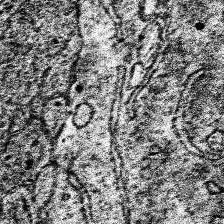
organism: Human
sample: Temporal Lobe